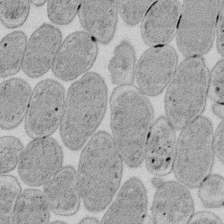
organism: E. coli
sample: Bacterial nucleoid